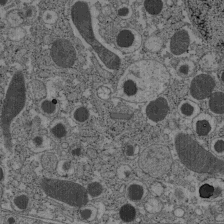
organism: C57BL Mouse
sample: Pancreatic islet